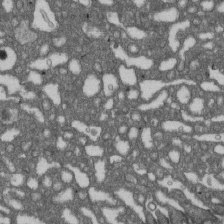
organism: Drosophila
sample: Nephrocyte